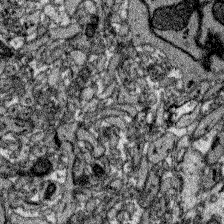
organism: Zebrafish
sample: Larval olfactory bulb